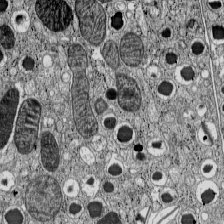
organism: C57BL Mouse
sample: Pancreatic islet